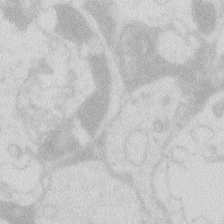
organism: Zebrafish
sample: Macrophage